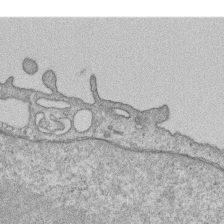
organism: Human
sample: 1205lu cells